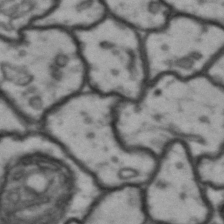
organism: Drosophila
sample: Brain